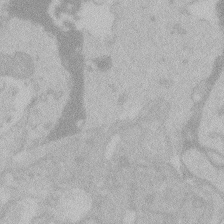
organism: Zebrafish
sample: Macrophage infected with Toxoplasma gondii